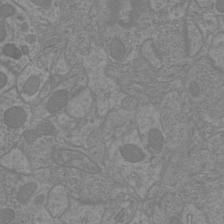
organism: Mouse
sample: Cortical neurons